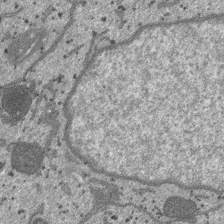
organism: Human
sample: Lung epithelial cells infected with SARS-CoV-2